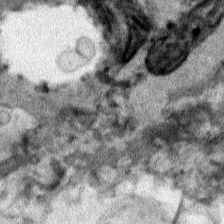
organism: Human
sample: Mitochondria in HCT116 cells